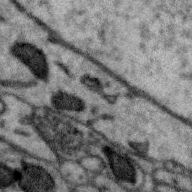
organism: Zebra finch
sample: Brain